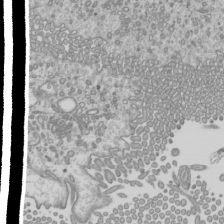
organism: Mouse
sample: Cilia; mouse epididymis